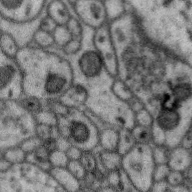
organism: Zebra finch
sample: Brain